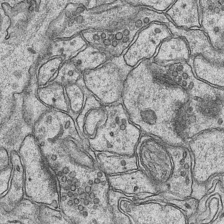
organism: Mouse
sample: CA1 Hippocampus